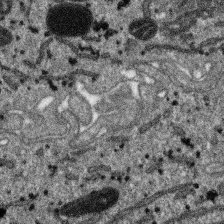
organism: Human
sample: Lung epithelial cells infected with SARS-CoV-2